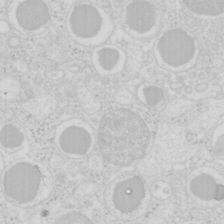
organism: Mouse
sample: Pancreas